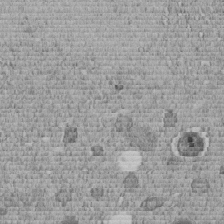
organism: C. elegans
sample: C. elegans embryo early stage